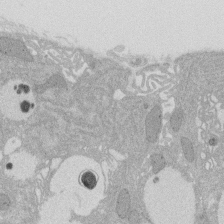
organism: Rat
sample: Salivary granule